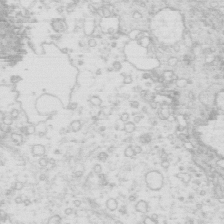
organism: Mouse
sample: Multiciliated cells